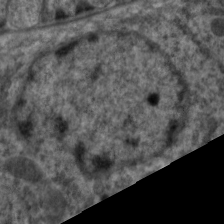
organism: C. elegans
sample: Pharynx